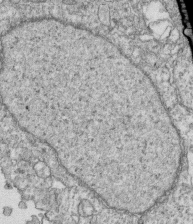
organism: Human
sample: HeLa cell HIV synapse